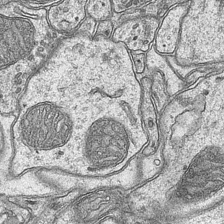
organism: Mouse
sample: CA1 Hippocampus